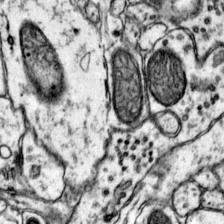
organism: Mouse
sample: Primary visual cortex